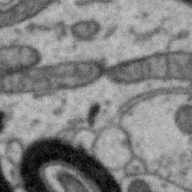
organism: Zebra finch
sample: Brain